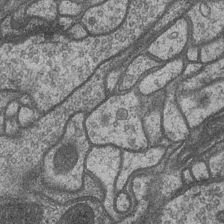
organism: Drosophila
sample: Optic medulla